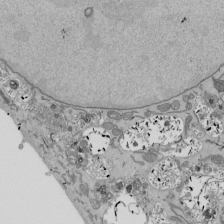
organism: Mouse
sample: ED-1 cell nuclei; centrioles